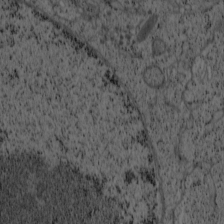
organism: African green monkey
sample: COS-7 cells